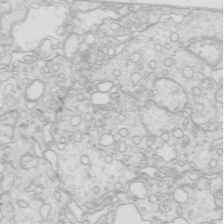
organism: Mouse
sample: Multiciliated cells